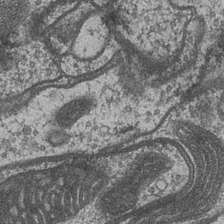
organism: Drosophila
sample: Optic medulla